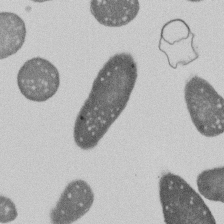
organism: E. coli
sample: Bacterial nucleoid